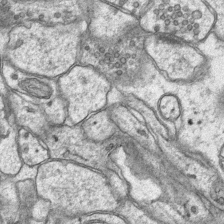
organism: Mouse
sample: CA1 Hippocampus